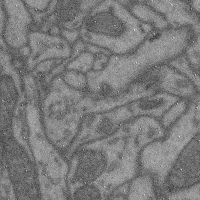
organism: Mouse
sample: Cerebral cortex